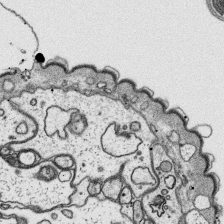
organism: Platynereis dumerilii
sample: Parapodia